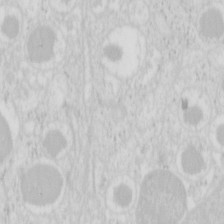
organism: Mouse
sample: Pancreas